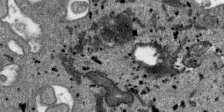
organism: Human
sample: Lung epithelial cells, uninfected (mock) control